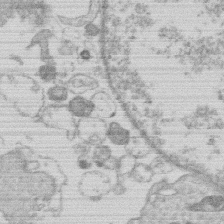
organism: Human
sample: Macrophage cells